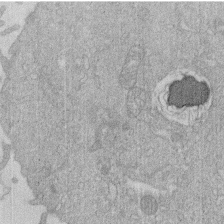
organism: Human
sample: Macrophage cells